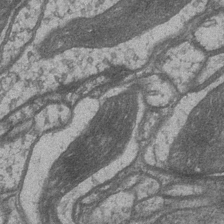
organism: Drosophila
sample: Optic medulla